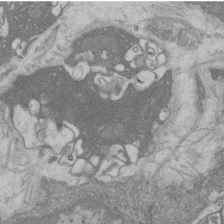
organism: Rat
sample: Salivary granule